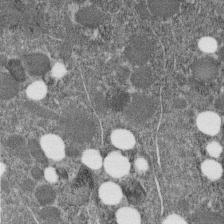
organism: C. elegans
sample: C. elegans embryo early stage